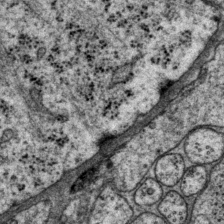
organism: P. pacificus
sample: Pharynx